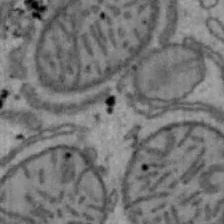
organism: Mouse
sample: Liver